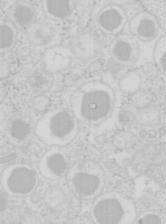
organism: Mouse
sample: Pancreas